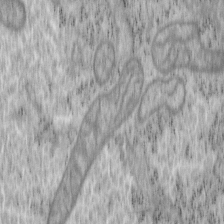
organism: Human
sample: HeLa cells